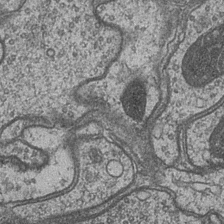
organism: Drosophila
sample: Optic medulla